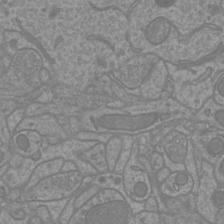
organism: Mouse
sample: Cortical neurons